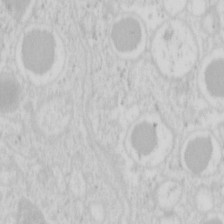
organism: Mouse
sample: Pancreas